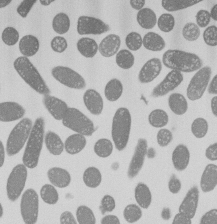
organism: E. coli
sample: Bacterial nucleoid